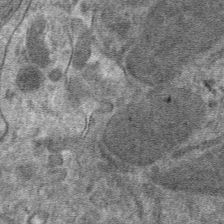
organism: Mouse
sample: Mouse hepatocytes